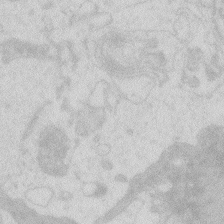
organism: Zebrafish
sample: Macrophage